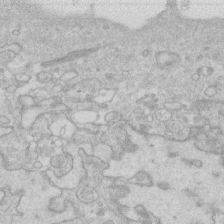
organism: Human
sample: Fibroblast cells